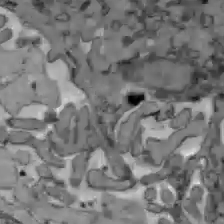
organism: C57BL Mouse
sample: Liver